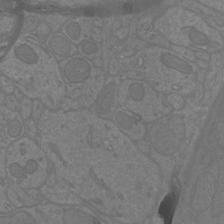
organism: Mouse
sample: Cortical neurons